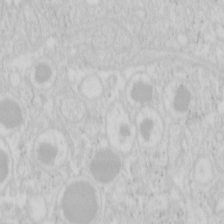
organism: Mouse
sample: Pancreas